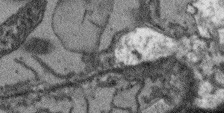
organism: Arabidopsis thaliana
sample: Root tip